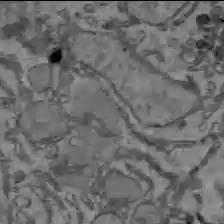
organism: C57BL Mouse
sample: Liver